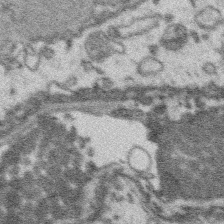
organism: Platynereis dumerilii